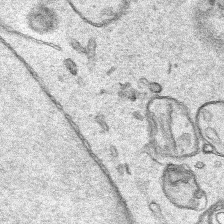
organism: Human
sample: Mitochondria in HCT116 cells